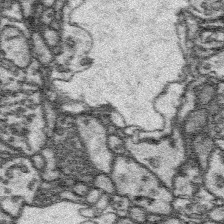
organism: Platynereis dumerilii